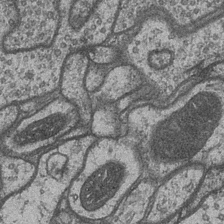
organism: Drosophila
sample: Optic medulla